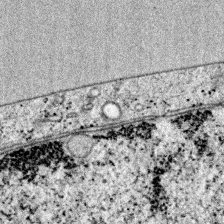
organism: Human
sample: HeLa cells